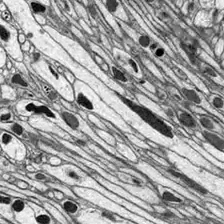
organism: Drosophila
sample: Optic lobe